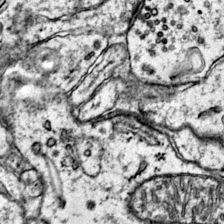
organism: Mouse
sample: Primary visual cortex